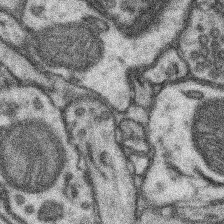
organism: Mouse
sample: Somatosensory cortex neuropil